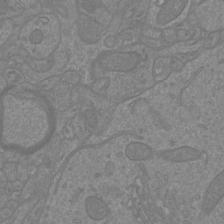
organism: Mouse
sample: Cortical neurons